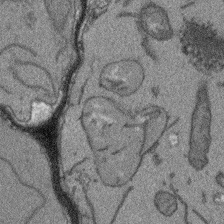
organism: Arabidopsis thaliana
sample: Root tip